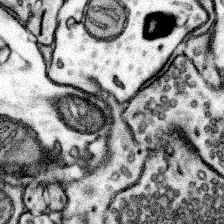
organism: Mouse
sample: Somatosensory cortex neuropil